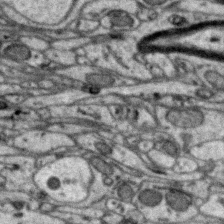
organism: Zebra finch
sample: Brain